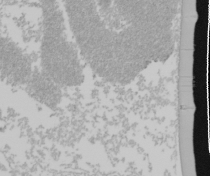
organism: Mouse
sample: Cancer cell death in ED-1 cells